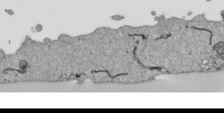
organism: Human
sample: Mitochondria in HCT116 cells